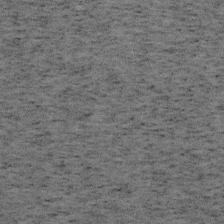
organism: Mouse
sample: OT-I killer T cells with ID8 ovarian cancer cells